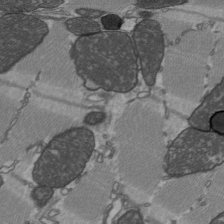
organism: C57BL Mouse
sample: Heart